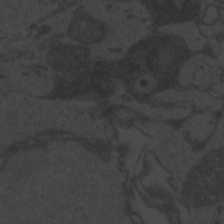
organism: Zebrafish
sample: Macrophage infected with Toxoplasma gondii